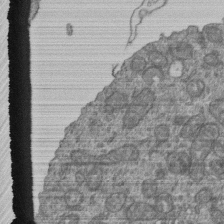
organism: Human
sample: Retinal organoid Rod and Cone cells